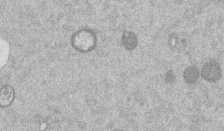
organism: Mouse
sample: Dividing mouse embryo 1 cell stage